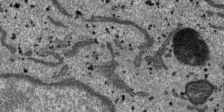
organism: Human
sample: Lung epithelial cells, uninfected (mock) control